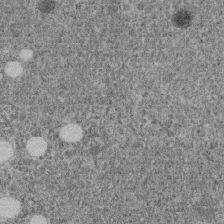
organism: C. elegans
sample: C. elegans embryo early stage